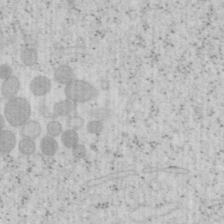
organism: Human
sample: HeLa cells